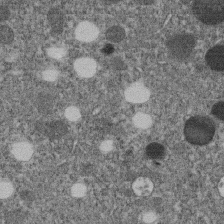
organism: C. elegans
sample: C. elegans embryo early stage